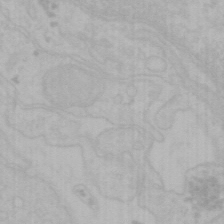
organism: Mouse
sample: Choroid plexus